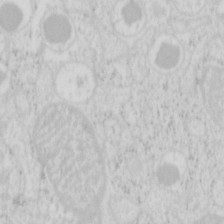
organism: Mouse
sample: Pancreas